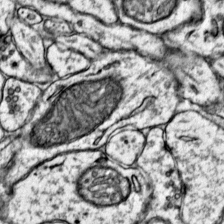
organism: Mouse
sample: Primary visual cortex